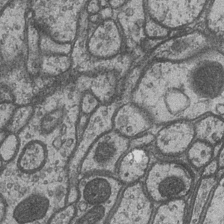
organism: Drosophila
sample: Optic medulla